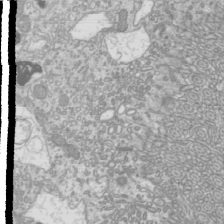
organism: Mouse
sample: Cilia; mouse epididymis